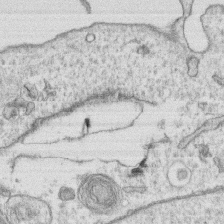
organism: Human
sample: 1205lu cells